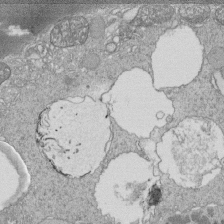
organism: Tetrahymena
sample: Cilia in tetrahymena